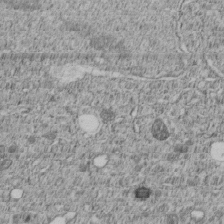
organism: C. elegans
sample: C. elegans embryo early stage